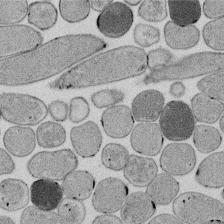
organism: E. coli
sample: Bacterial nucleoid